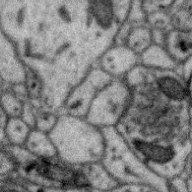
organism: Zebra finch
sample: Brain